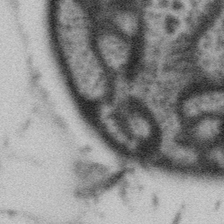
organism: Gemmata obscuriglobus